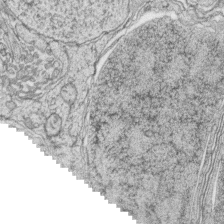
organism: Zebrafish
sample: synaptic ribbons in rod cells and cone cells